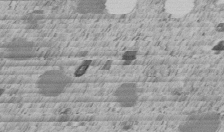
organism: C. elegans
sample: C. elegans embryo early stage